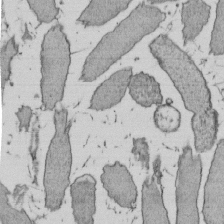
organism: E. coli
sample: Bacterial nucleoid